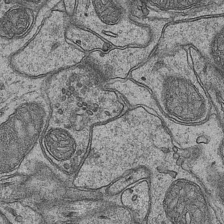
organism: Mouse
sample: CA1 Hippocampus